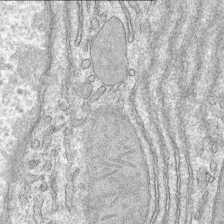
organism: Mouse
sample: Mouse hepatocytes